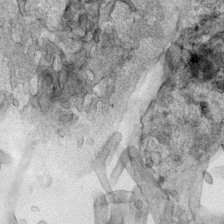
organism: Human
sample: Mitochondria in HCT116 cells